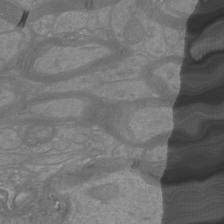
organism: Mouse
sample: Cortical neurons